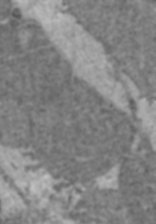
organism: C57BL Mouse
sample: Heart